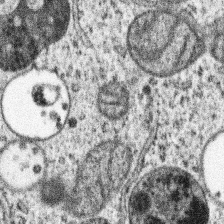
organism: Human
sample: HeLa cells